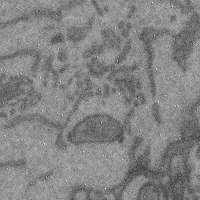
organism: Mouse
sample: Cerebral cortex